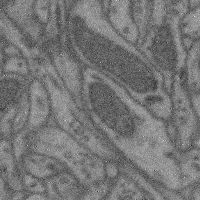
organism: Mouse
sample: Cerebral cortex